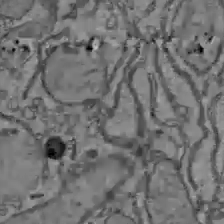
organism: C57BL Mouse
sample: Liver